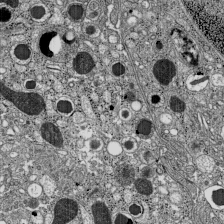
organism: C57BL Mouse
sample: Pancreatic islet